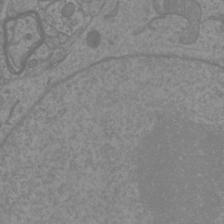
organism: Mouse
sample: Cortical neurons